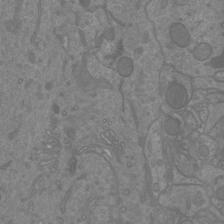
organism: Mouse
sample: Cortical neurons